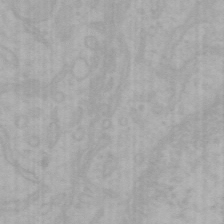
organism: Mouse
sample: Choroid plexus